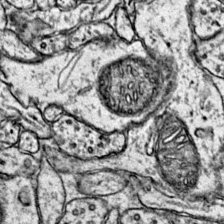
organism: Mouse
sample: Primary visual cortex